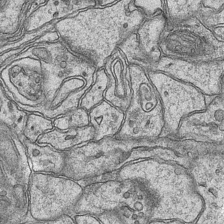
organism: Mouse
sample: CA1 Hippocampus